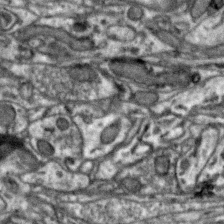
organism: Zebra finch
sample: Brain